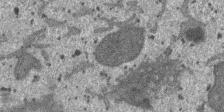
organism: Human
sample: Lung epithelial cells infected with SARS-CoV-2